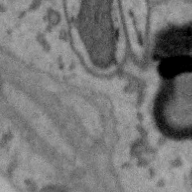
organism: Zebra finch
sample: Brain